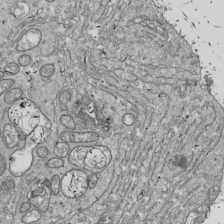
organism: Drosophila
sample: Cell division; meiosis; drosophila spermatocytes